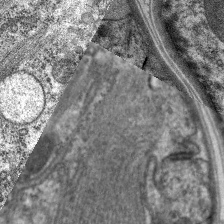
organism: C. elegans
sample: Pharynx